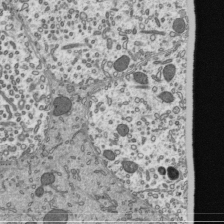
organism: Mouse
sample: Mouse epididymis efferent ductule cilia